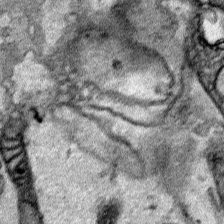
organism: Human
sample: Mitochondria in HCT116 cells